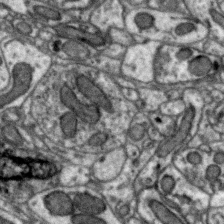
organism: Zebra finch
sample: Brain